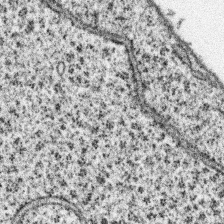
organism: Human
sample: HeLa cells